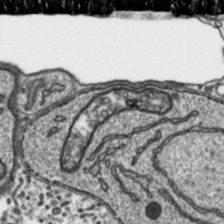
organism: Toxoplasma gondii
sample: Parasites in a vacuole inside a host cell